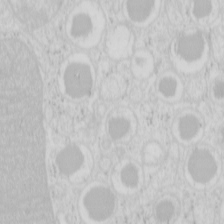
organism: Mouse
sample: Pancreas